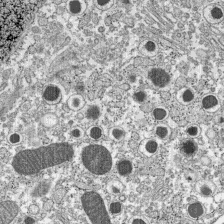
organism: C57BL Mouse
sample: Pancreatic islet